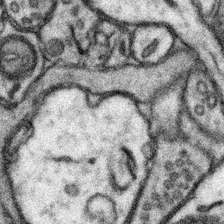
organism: Mouse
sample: Somatosensory cortex neuropil